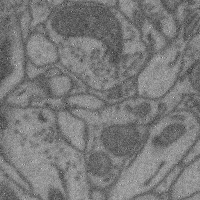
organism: Mouse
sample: Cerebral cortex